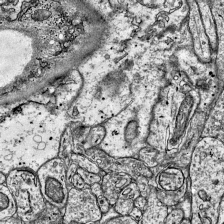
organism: Mouse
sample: Visual Cortex